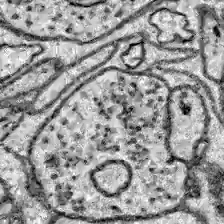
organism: Zebrafish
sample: Brain